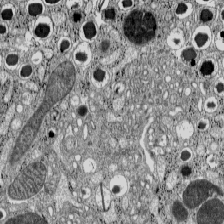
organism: C57BL Mouse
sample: Pancreatic islet